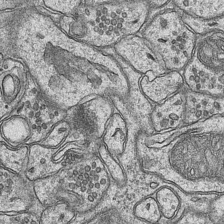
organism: Mouse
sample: CA1 Hippocampus